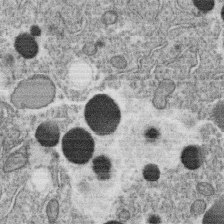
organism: C. elegans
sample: C. elegans oocyte; sperm cells